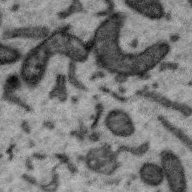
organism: Zebra finch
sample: Brain